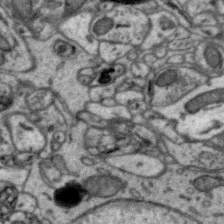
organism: Zebra finch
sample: Brain